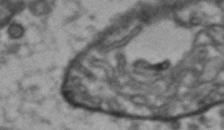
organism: Drosophila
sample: Brain